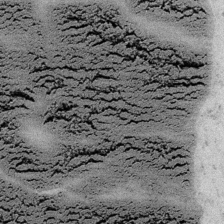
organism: Embia sp.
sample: Silk gland